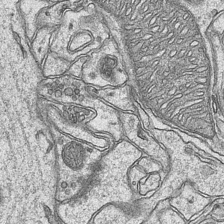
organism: Mouse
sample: CA1 Hippocampus